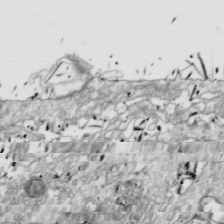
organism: Drosophila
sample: Cell division; meiosis; drosophila spermatocytes